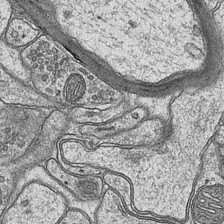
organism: Mouse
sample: CA1 Hippocampus